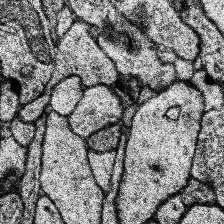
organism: Human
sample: Temporal Lobe